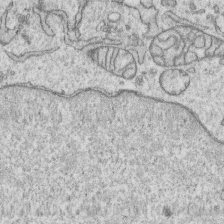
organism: Human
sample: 1205lu cells